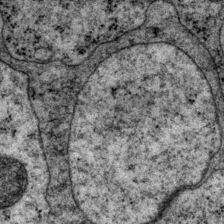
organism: P. pacificus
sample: Pharynx